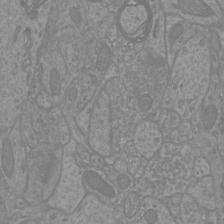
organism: Mouse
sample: Cortical neurons